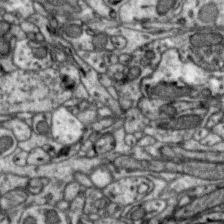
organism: Zebra finch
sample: Brain